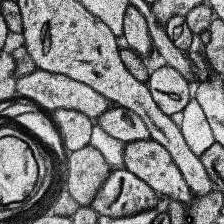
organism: Human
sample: Temporal Lobe